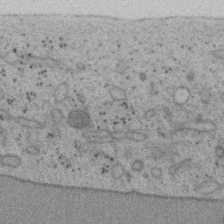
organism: Human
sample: HeLa cells